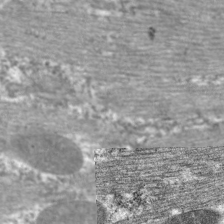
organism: C. elegans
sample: Pharynx